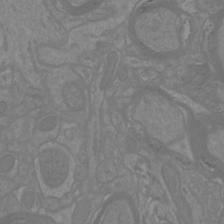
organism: Mouse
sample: Cortical neurons